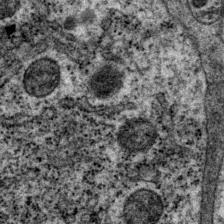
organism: P. pacificus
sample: Pharynx